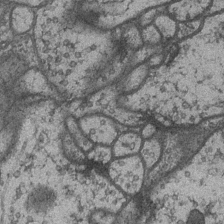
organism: Drosophila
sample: Optic medulla